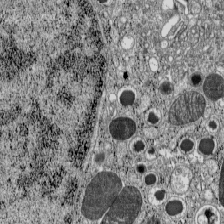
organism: C57BL Mouse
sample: Pancreatic islet